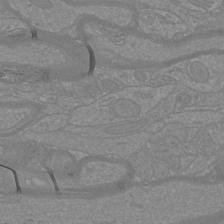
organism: Mouse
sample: Cortical neurons